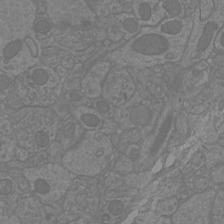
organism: Mouse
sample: Cortical neurons